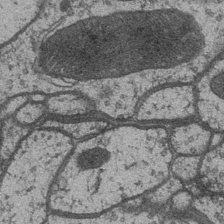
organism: Drosophila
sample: Optic medulla